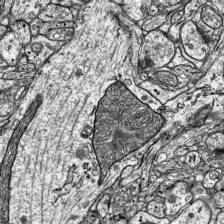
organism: Mouse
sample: Visual Cortex